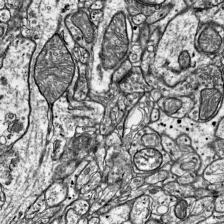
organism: Mouse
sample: Visual Cortex